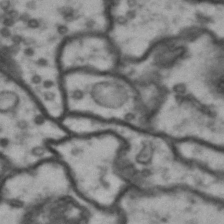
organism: Drosophila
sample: Brain